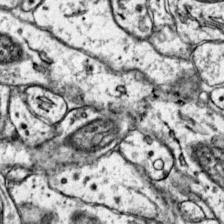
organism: Mouse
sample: Primary visual cortex